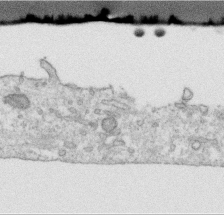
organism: Human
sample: Centriole in RPE cells